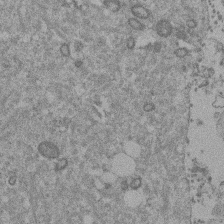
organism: Mouse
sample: Dividing mouse embryo 1 cell stage